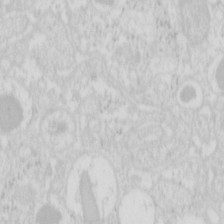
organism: Mouse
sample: Pancreas